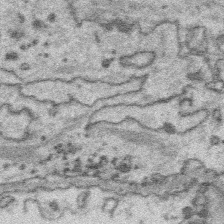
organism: Platynereis dumerilii